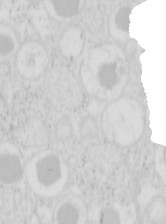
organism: Mouse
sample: Pancreas